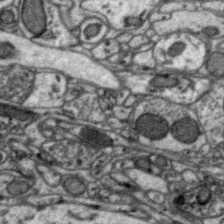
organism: Zebra finch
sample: Brain